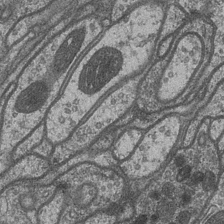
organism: Drosophila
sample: Optic medulla